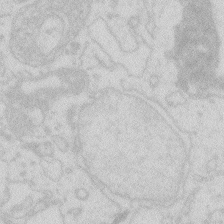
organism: Zebrafish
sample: Macrophage